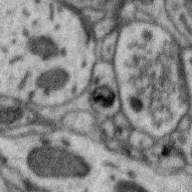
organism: Zebra finch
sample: Brain